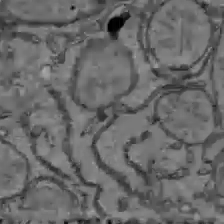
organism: C57BL Mouse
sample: Liver